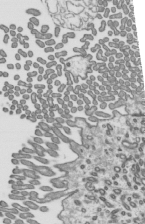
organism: Mouse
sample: Mouse epididymis efferent ductule cilia